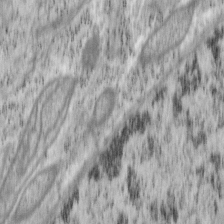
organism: Human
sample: HeLa cells